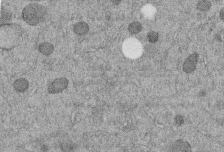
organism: C. elegans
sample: C. elegans embryo early stage